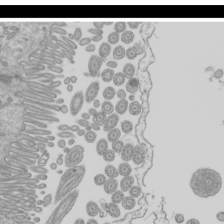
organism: Mouse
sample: Cilia; mouse epididymis